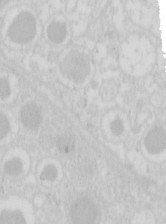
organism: Mouse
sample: Pancreas